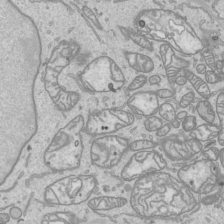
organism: Human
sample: Mitochondria in HCT116 cells